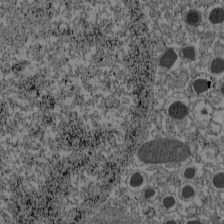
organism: C57BL Mouse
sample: Pancreatic islet